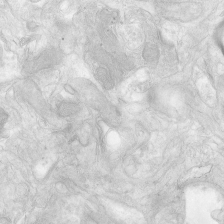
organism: Human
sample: Neocortex